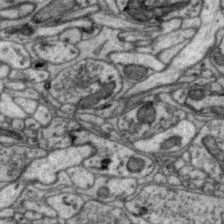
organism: Zebra finch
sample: Brain